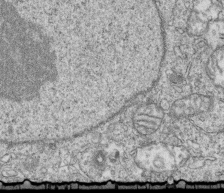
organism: Human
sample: HeLa cell HIV synapse